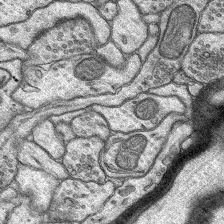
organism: Rat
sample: Hippocampus